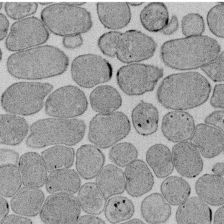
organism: E. coli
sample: Bacterial nucleoid